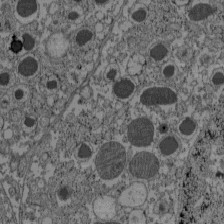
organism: C57BL Mouse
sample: Pancreatic islet